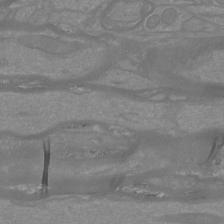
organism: Mouse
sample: Cortical neurons